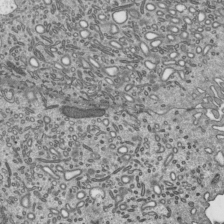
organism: Mouse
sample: Mouse epididymis efferent ductule cilia